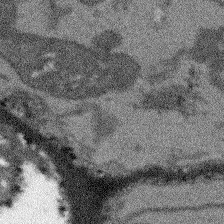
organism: Arabidopsis thaliana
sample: Root tip